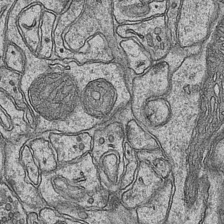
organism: Mouse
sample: CA1 Hippocampus